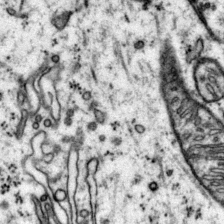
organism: Mouse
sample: Primary visual cortex